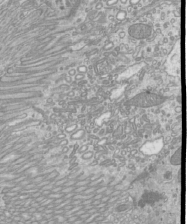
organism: Mouse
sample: Cilia; mouse epididymis